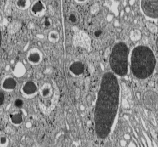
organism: C57BL Mouse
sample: Pancreatic islet